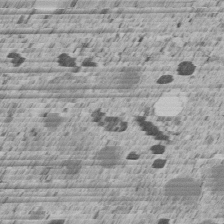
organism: C. elegans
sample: C. elegans embryo early stage